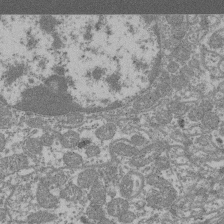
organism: Mouse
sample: Glomerulus